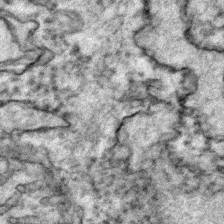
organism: Zebrafish